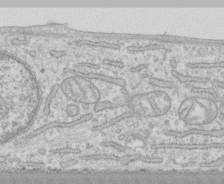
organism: Human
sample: CRL-1474